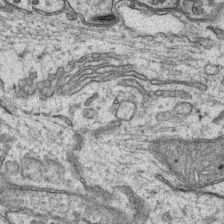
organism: Mouse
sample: CA1 Hippocampus